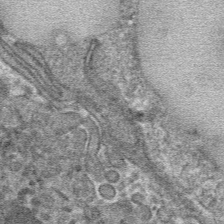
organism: Mouse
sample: Mouse hepatocytes